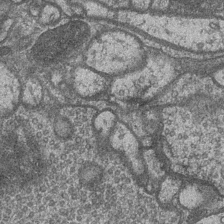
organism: Drosophila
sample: Optic medulla